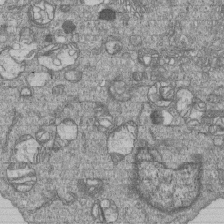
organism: Human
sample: MDA-MB-231 cells